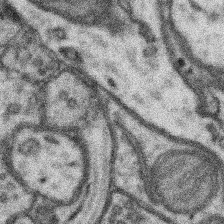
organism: Mouse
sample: Somatosensory cortex neuropil